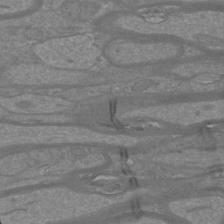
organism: Mouse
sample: Cortical neurons